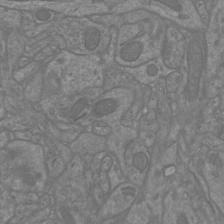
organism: Mouse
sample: Cortical neurons